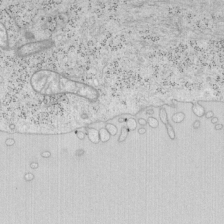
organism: Mouse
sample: OT-I killer T cells with ID8 ovarian cancer cells